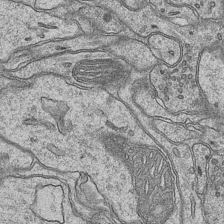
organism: Mouse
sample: CA1 Hippocampus